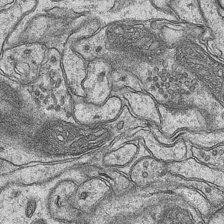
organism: Mouse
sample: CA1 Hippocampus